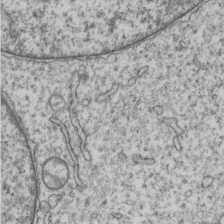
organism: Human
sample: MDA-MB-231 cells